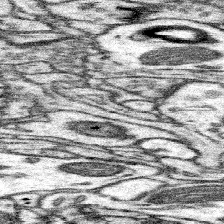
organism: Mouse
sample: Somatosensory cortex neuropil